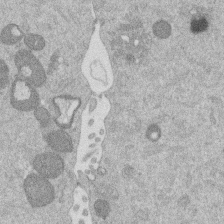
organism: Mouse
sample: Dividing mouse embryo 1 cell stage